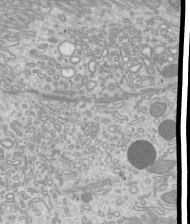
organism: Mouse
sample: Cilia; mouse epididymis